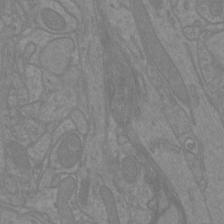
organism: Mouse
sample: Cortical neurons